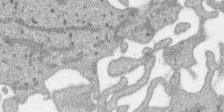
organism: Human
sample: Lung epithelial cells infected with SARS-CoV-2